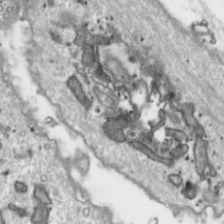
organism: Toxoplasma gondii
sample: Parasites in a vacuole inside a host cell